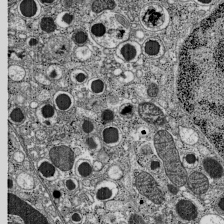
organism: C57BL Mouse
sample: Pancreatic islet